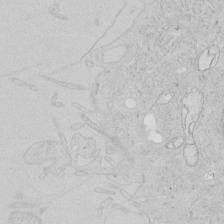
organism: Human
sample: Mitochondria in HCT116 cells